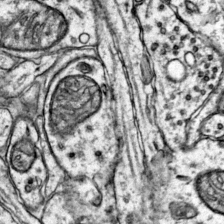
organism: Mouse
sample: Primary visual cortex